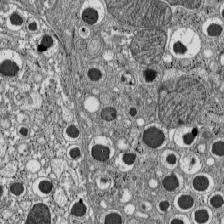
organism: C57BL Mouse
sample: Pancreatic islet